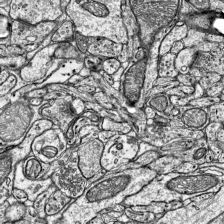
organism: Mouse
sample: Visual Cortex